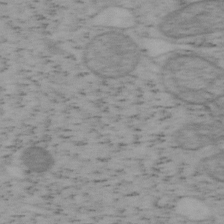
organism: Mouse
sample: OT-I killer T cells with ID8 ovarian cancer cells